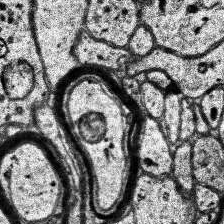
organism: Human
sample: Temporal Lobe